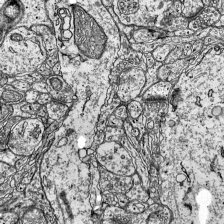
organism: Mouse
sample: Visual Cortex